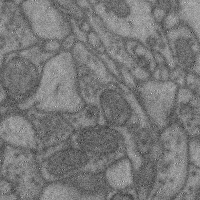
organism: Mouse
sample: Cerebral cortex